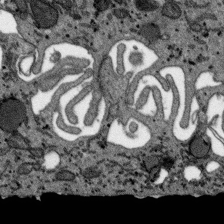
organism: Human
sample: Lung epithelial cells, uninfected (mock) control